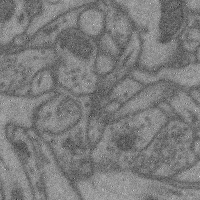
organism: Mouse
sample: Cerebral cortex